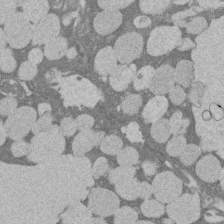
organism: Rat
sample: Salivary granule